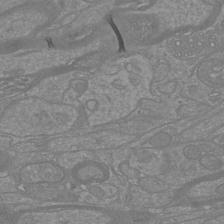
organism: Mouse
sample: Cortical neurons